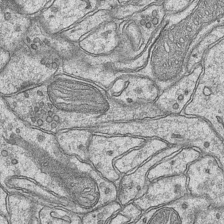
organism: Mouse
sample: CA1 Hippocampus